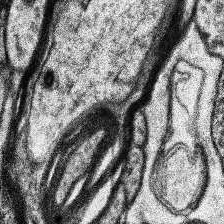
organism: Human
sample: Temporal Lobe